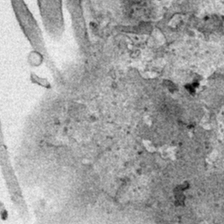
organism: Human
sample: Mitochondria in HCT116 cells